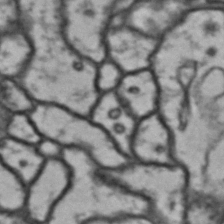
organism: Drosophila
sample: Brain